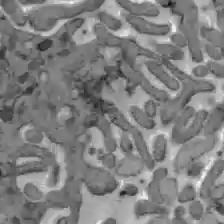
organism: C57BL Mouse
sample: Liver